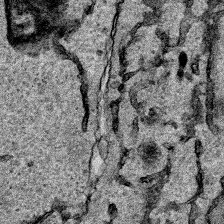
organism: Human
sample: Mitochondria in HCT116 cells